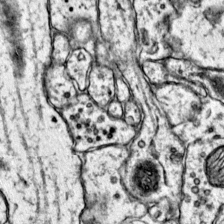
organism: Mouse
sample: Primary visual cortex